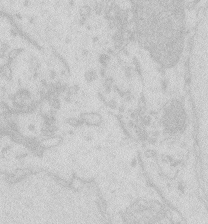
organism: Zebrafish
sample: Macrophage